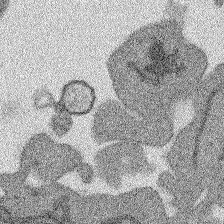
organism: Human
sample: HeLa cells